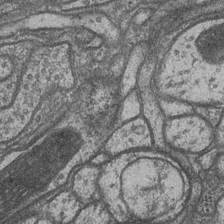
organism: Drosophila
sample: Optic medulla